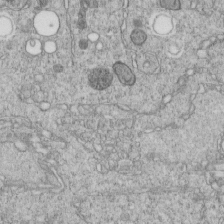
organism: C. elegans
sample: C. elegans embryo early stage